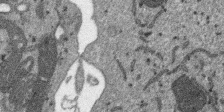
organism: Human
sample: Lung epithelial cells infected with SARS-CoV-2